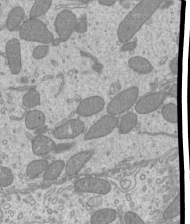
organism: Mouse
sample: Cilia; mouse epididymis